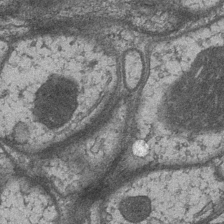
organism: Drosophila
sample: Optic medulla